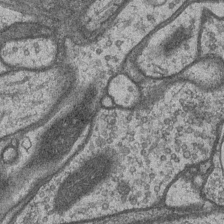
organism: Drosophila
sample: Optic medulla